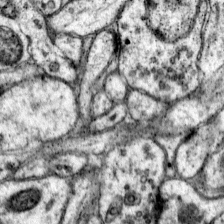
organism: Mouse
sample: Primary visual cortex